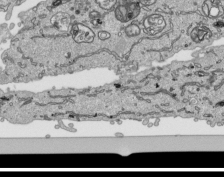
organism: Human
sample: Mitochondria in HCT116 cells